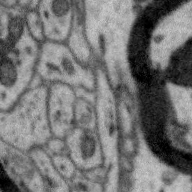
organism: Zebra finch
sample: Brain